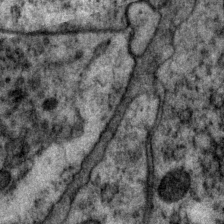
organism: P. pacificus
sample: Pharynx